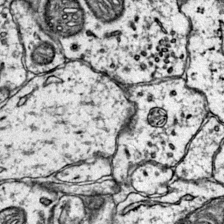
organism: Mouse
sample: Primary visual cortex